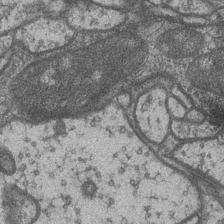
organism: Drosophila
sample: Optic medulla